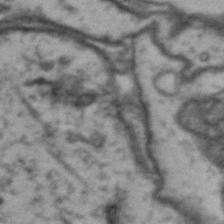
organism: Drosophila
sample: Brain